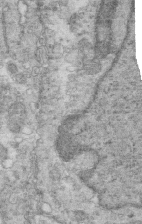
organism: Mouse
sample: Multiciliated cells